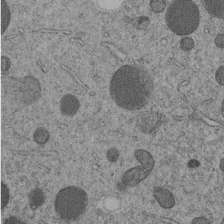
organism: C. elegans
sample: C. elegans embryo early stage